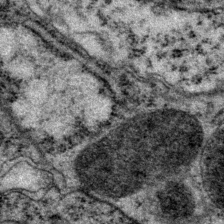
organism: P. pacificus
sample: Pharynx